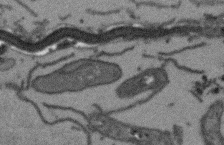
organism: Arabidopsis thaliana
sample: Root tip